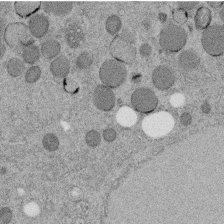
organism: C. elegans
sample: C. elegans embryo early stage